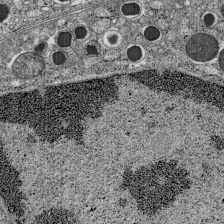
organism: C57BL Mouse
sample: Pancreatic islet